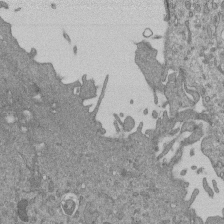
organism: Mouse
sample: ED-1 cell nuclei; centrioles